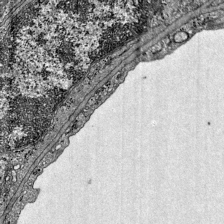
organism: Mouse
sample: Visual Cortex